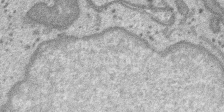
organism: Human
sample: Lung epithelial cells infected with SARS-CoV-2